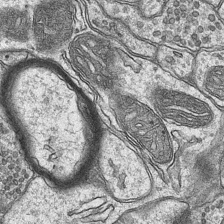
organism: Mouse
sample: CA1 Hippocampus